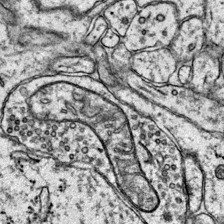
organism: Mouse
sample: Primary visual cortex